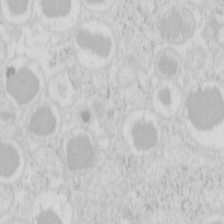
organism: Mouse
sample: Pancreas